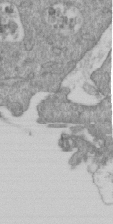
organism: Mouse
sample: ED-1 cell nuclei; centrioles